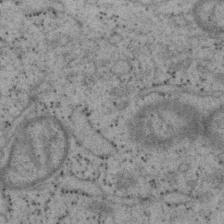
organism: Human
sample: HeLa cells